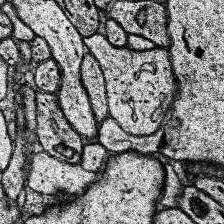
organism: Human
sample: Temporal Lobe